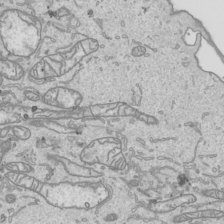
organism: Human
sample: Mitochondria in HCT116 cells